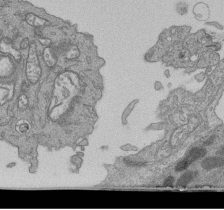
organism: Human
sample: Retinal organoid Rod and Cone cells